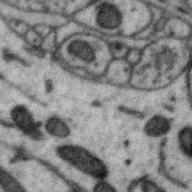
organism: Zebra finch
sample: Brain